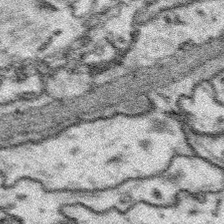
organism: Platynereis dumerilii